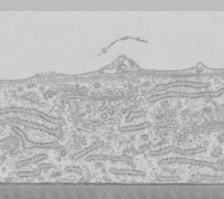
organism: Human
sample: Fibroblast cells